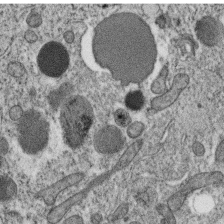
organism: C. elegans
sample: C. elegans oocyte; sperm cells